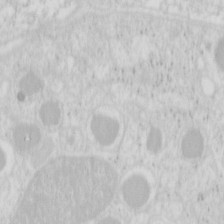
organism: Mouse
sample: Pancreas